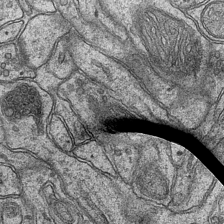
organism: Mouse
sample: CA1 Hippocampus